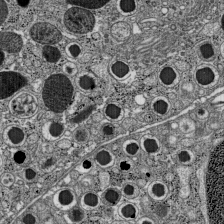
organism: C57BL Mouse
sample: Pancreatic islet